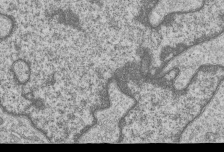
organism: Human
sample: MDA-MB-231 cells